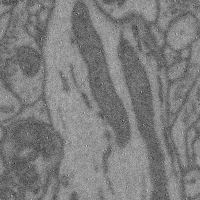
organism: Mouse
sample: Cerebral cortex